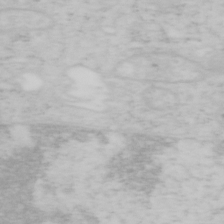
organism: Mouse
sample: OT-I killer T cells with ID8 ovarian cancer cells